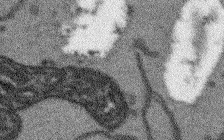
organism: Arabidopsis thaliana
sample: Root tip